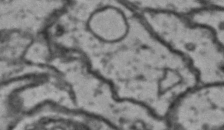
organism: Drosophila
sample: Brain